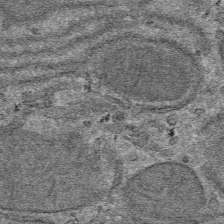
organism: Mouse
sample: Mouse hepatocytes